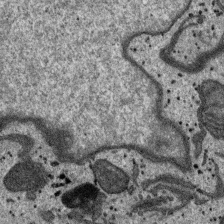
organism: Human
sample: Lung epithelial cells, uninfected (mock) control